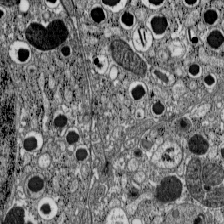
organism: C57BL Mouse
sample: Pancreatic islet